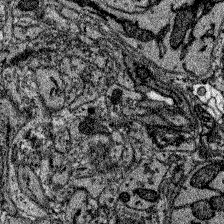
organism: Zebrafish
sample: Larval olfactory bulb